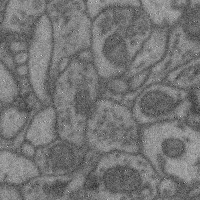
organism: Mouse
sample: Cerebral cortex